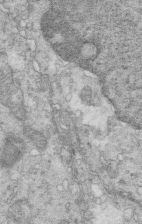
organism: Mouse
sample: Multiciliated cells